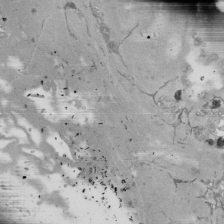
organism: Mouse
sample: ED-1 cell nuclei; centrioles